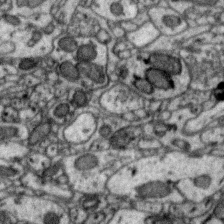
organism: Zebra finch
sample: Brain